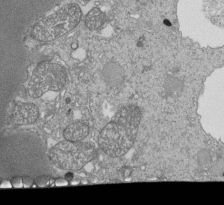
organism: Tetrahymena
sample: Cilia in tetrahymena